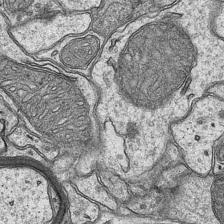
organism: Mouse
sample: CA1 Hippocampus